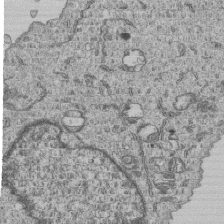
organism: Human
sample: MDA-MB-231 cells